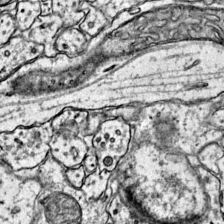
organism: Mouse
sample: Primary visual cortex